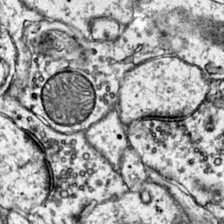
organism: Mouse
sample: Primary visual cortex